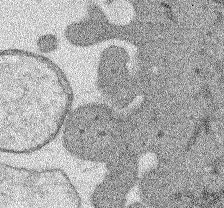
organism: Human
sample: HeLa cells